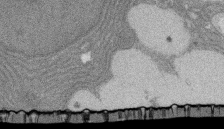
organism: Rat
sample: Salivary granule